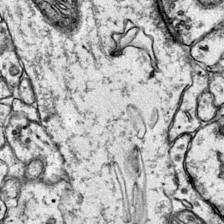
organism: Mouse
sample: Primary visual cortex